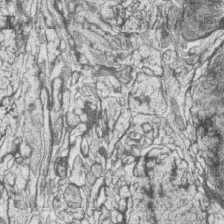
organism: Zebrafish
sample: synaptic ribbons in rod cells and cone cells